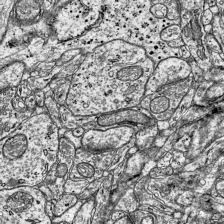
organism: Mouse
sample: Visual Cortex